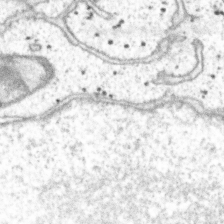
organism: Human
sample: HeLa cells